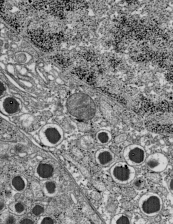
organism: C57BL Mouse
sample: Pancreatic islet